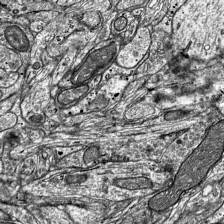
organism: Mouse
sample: Visual Cortex